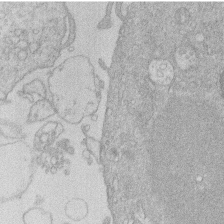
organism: Human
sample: Macrophage cells